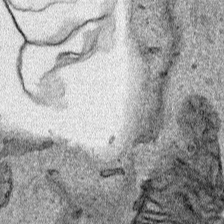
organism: Human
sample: Mitochondria in HCT116 cells